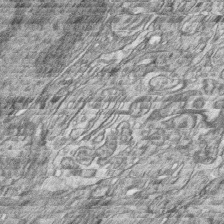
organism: Zebrafish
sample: synaptic ribbons in rod cells and cone cells